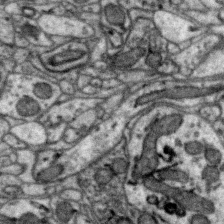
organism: Zebra finch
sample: Brain